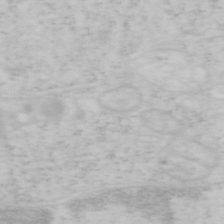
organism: Mouse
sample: OT-I killer T cells with ID8 ovarian cancer cells